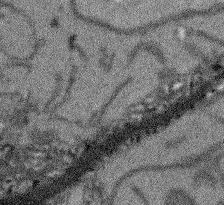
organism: Arabidopsis thaliana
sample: Root tip